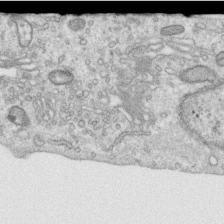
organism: Human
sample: Centriole in RPE cells